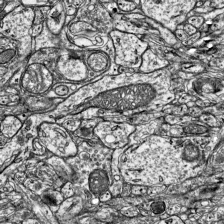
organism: Mouse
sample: Visual Cortex